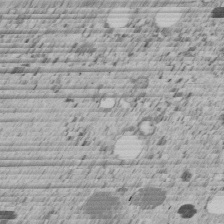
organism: C. elegans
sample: C. elegans embryo early stage